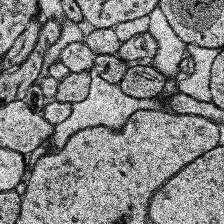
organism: Human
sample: Temporal Lobe